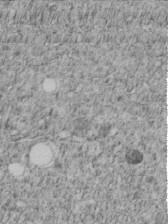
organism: C. elegans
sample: C. elegans embryo early stage